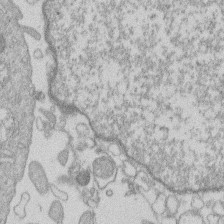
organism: Human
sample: Macrophage cells